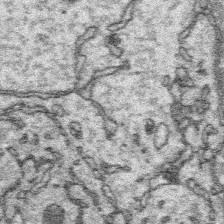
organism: Platynereis dumerilii